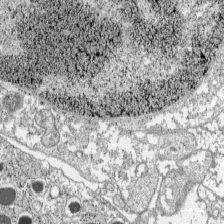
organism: C57BL Mouse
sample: Pancreatic islet